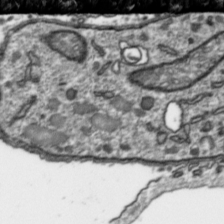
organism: Toxoplasma gondii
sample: Parasites in a vacuole inside a host cell